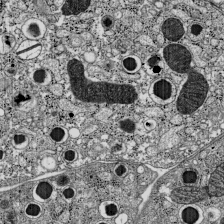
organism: C57BL Mouse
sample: Pancreatic islet